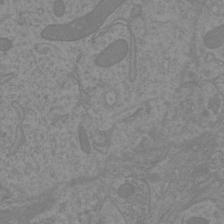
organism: Mouse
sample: Cortical neurons